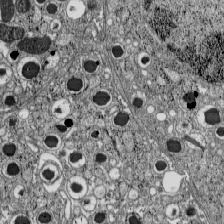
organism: C57BL Mouse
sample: Pancreatic islet